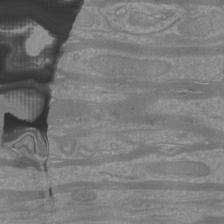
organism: Mouse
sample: Cortical neurons